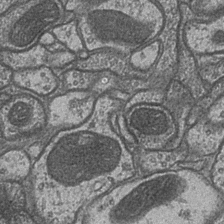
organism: Drosophila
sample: Optic medulla